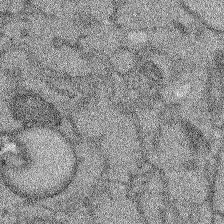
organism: Human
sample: HeLa cells